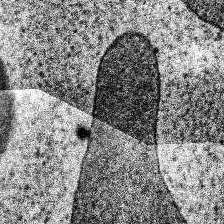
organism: Human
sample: Temporal Lobe